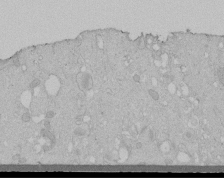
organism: Human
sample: Melanocyte Keratinocyte synapse skin construct